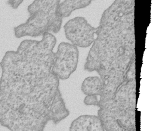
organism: Human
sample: MDA-MB-231 cells